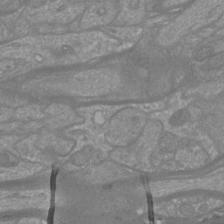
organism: Mouse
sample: Cortical neurons